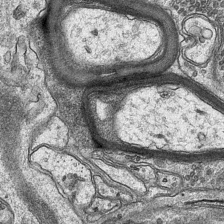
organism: Mouse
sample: CA1 Hippocampus